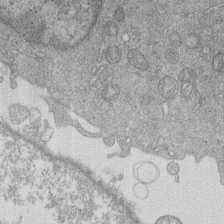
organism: Human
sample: Macrophage cells